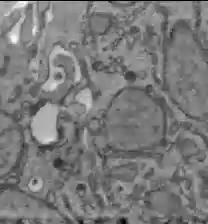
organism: C57BL Mouse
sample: Liver